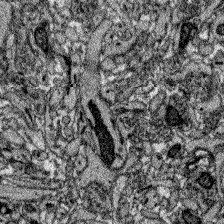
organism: Zebrafish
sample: Larval olfactory bulb